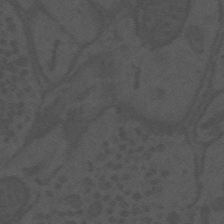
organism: Mouse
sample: Suprachiasmatic nucleus